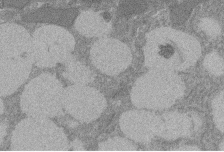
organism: Rat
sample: Salivary granule